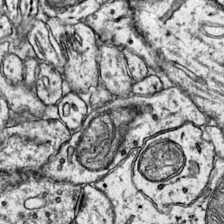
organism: Mouse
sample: Primary visual cortex